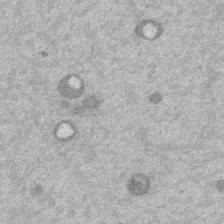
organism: Mouse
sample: Dividing mouse embryo 1 cell stage